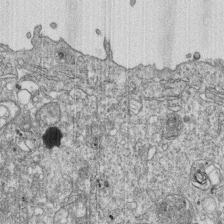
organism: Human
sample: HeLa cell HIV synapse